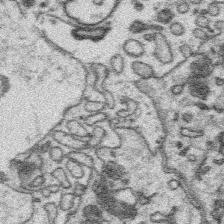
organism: Platynereis dumerilii